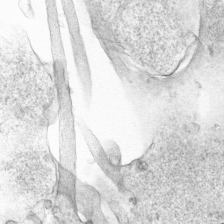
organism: Human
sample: Mitochondria in HCT116 cells